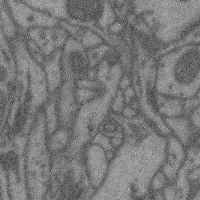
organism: Mouse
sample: Cerebral cortex